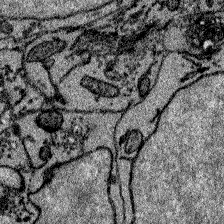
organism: Zebrafish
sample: Larval olfactory bulb